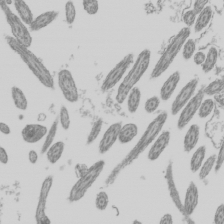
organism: Mouse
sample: Cilia; mouse epididymis